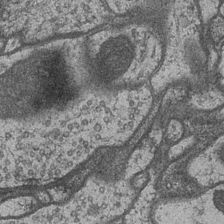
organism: Drosophila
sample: Optic medulla